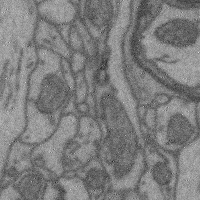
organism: Mouse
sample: Cerebral cortex